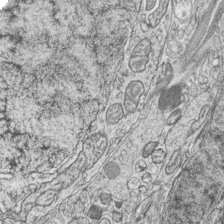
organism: Zebrafish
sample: synaptic ribbons in rod cells and cone cells